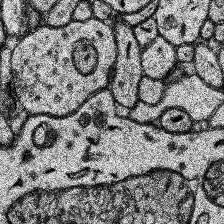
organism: Human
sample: Temporal Lobe